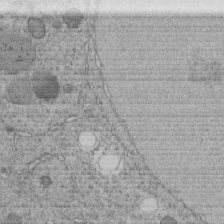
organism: C. elegans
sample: C. elegans embryo early stage